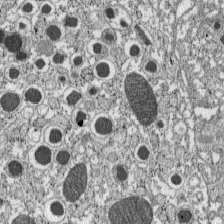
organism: C57BL Mouse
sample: Pancreatic islet